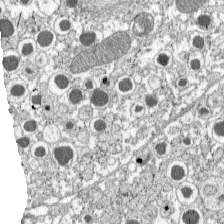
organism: C57BL Mouse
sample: Pancreatic islet